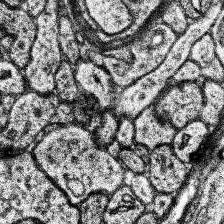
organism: Human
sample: Temporal Lobe